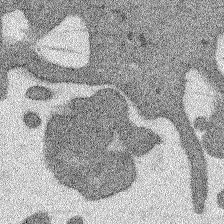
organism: Human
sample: HeLa cells